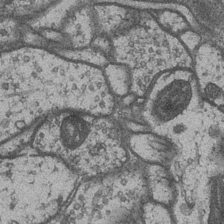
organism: Drosophila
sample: Optic medulla